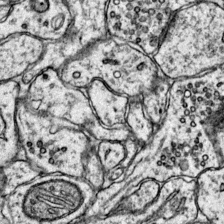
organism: Mouse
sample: Primary visual cortex